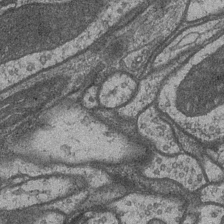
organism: Drosophila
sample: Optic medulla